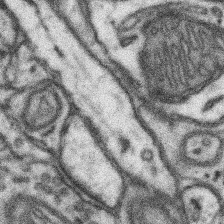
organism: Mouse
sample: Somatosensory cortex neuropil